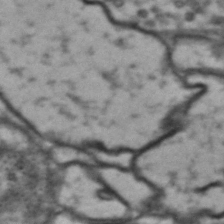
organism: Drosophila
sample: Brain